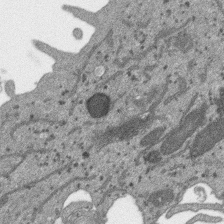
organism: Human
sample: Lung epithelial cells infected with SARS-CoV-2